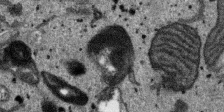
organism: Human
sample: Lung epithelial cells, uninfected (mock) control